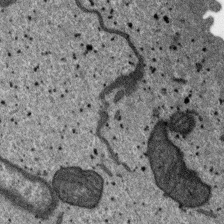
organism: Human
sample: Lung epithelial cells, uninfected (mock) control